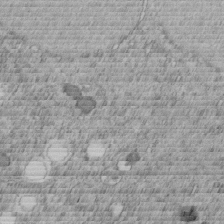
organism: C. elegans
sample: C. elegans embryo early stage